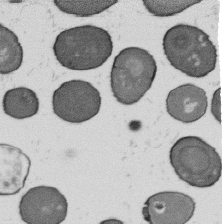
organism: B. subtilis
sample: Bacterial spore